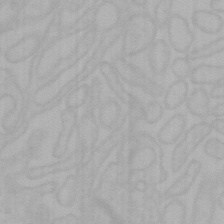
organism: Mouse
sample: Choroid plexus